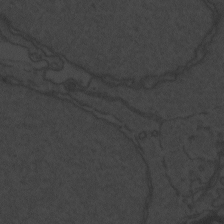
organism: Zebrafish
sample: Macrophage infected with Toxoplasma gondii